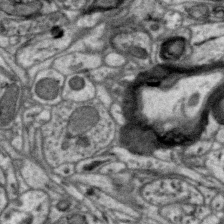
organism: Zebra finch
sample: Brain